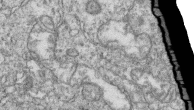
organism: Human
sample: HeLa cell HIV synapse